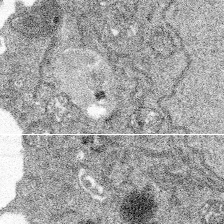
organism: Spongilla lacustris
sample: Multiple